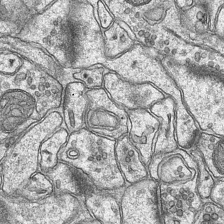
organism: Mouse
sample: CA1 Hippocampus